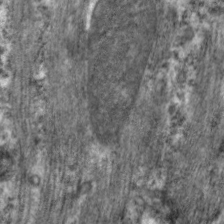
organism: C. elegans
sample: Pharynx